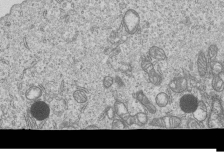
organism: Human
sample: MDA-MB-231 cells